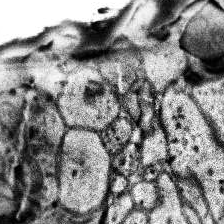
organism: Human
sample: Temporal Lobe